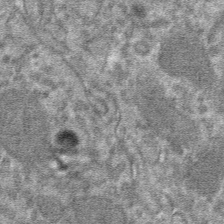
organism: Mouse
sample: Mouse hepatocytes